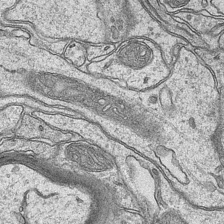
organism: Mouse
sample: CA1 Hippocampus